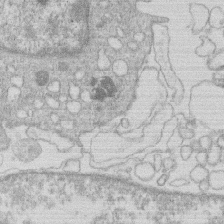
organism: Human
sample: Macrophage cells